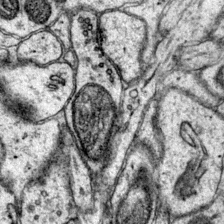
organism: Mouse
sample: Primary visual cortex